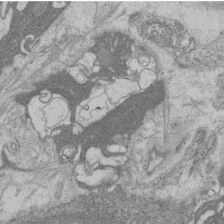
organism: Rat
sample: Salivary granule